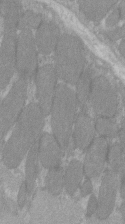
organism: C57BL Mouse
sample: Tibialis anterior muscle cell